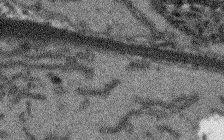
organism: Arabidopsis thaliana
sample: Root tip